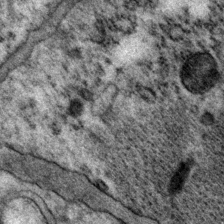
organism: P. pacificus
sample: Pharynx